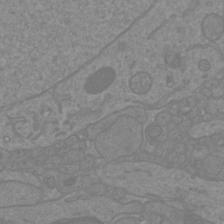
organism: Mouse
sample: Cortical neurons